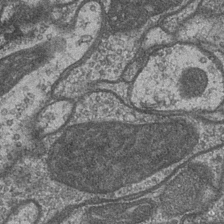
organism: Drosophila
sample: Optic medulla